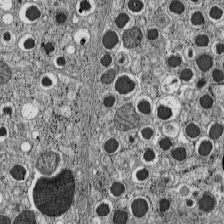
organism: C57BL Mouse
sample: Pancreatic islet